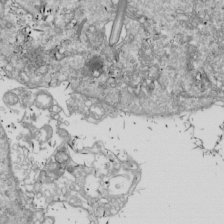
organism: Drosophila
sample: Cell division; meiosis; drosophila spermatocytes